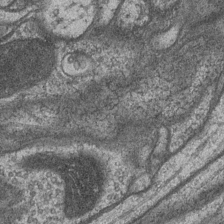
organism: Drosophila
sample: Optic medulla